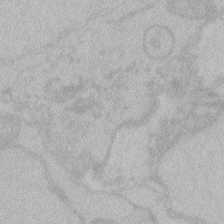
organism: Zebrafish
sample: Macrophage infected with Toxoplasma gondii